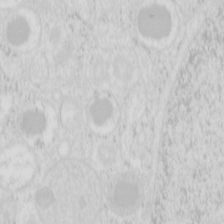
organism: Mouse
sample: Pancreas